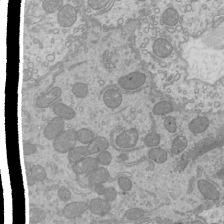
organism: Mouse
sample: Cilia; mouse epididymis